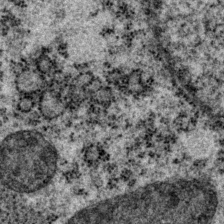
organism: P. pacificus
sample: Pharynx